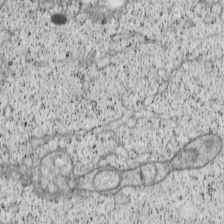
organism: African green monkey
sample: COS-7 cells